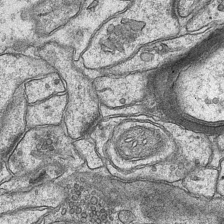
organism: Mouse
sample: CA1 Hippocampus